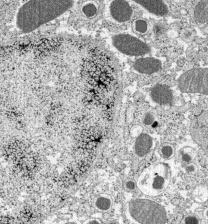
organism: C57BL Mouse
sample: Pancreatic islet